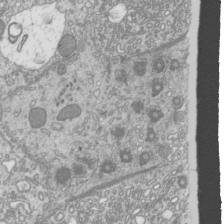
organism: Mouse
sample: Cilia; mouse epididymis